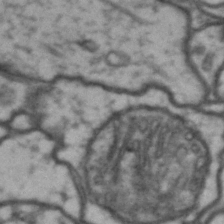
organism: Drosophila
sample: Brain